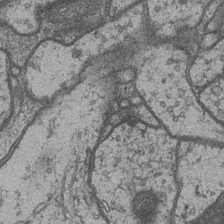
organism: Drosophila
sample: Optic medulla